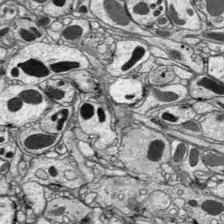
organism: Drosophila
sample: Optic lobe